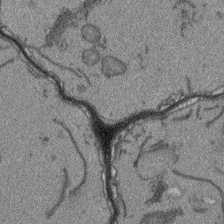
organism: Arabidopsis thaliana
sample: Root tip